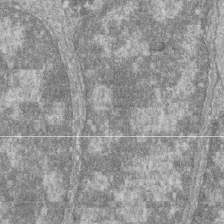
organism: Zebrafish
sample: Cilia; retinal pigment epithelium